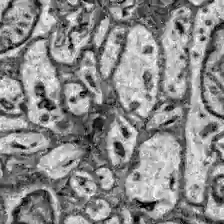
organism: Zebrafish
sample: Brain